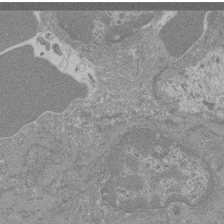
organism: Mouse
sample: Glomerulus